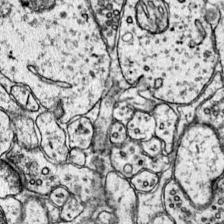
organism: Mouse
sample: Primary visual cortex